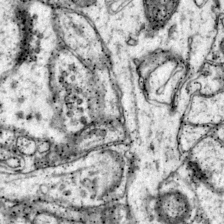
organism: Mouse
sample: Primary visual cortex